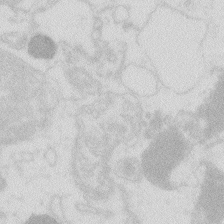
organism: Zebrafish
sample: Macrophage